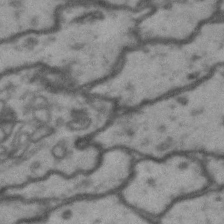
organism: Drosophila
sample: Brain